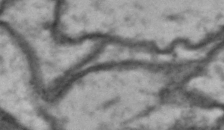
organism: Drosophila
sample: Brain